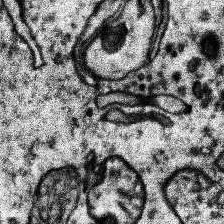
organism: Human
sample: Temporal Lobe